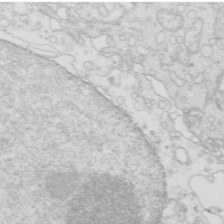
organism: Mouse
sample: Multiciliated cells